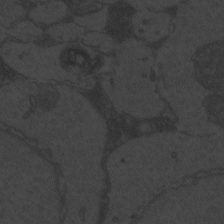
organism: Zebrafish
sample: Macrophage infected with Toxoplasma gondii